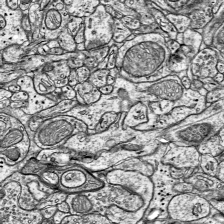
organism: Mouse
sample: Visual Cortex